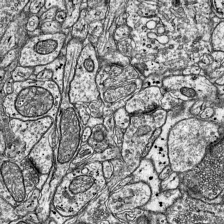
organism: Mouse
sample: Visual Cortex